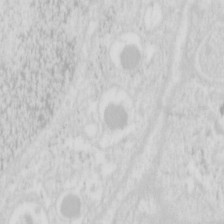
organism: Mouse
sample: Pancreas